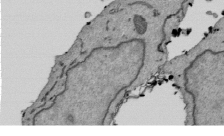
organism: Mouse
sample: ED-1 cell nuclei; centrioles